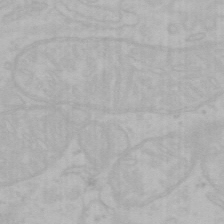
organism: Mouse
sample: Choroid plexus